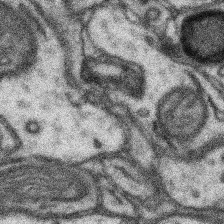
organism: Mouse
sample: Somatosensory cortex neuropil